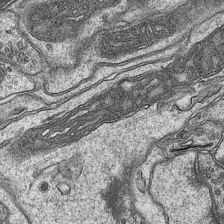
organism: Mouse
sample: CA1 Hippocampus